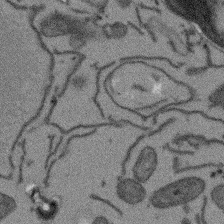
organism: Arabidopsis thaliana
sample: Root tip